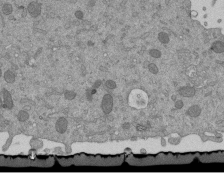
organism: Mouse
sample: ED-1 cell nuclei; centrioles